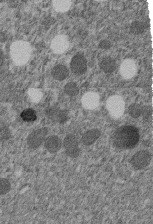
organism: C. elegans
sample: C. elegans embryo early stage